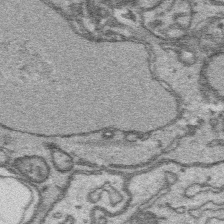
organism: Platynereis dumerilii